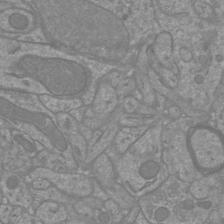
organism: Mouse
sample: Cortical neurons